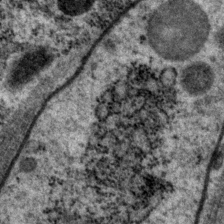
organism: P. pacificus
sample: Pharynx